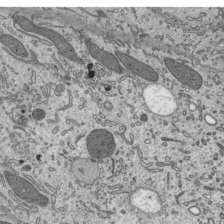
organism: Mouse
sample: Mouse epididymis efferent ductule cilia